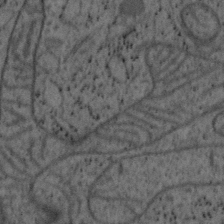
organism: Human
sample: HeLa cells